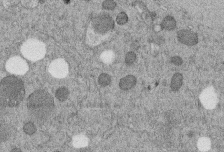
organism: C. elegans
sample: C. elegans embryo early stage